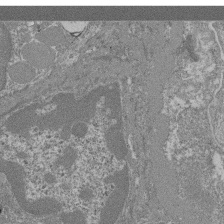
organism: Mouse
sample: Glomerulus